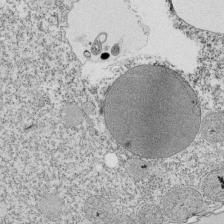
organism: Tetrahymena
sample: Cilia in tetrahymena